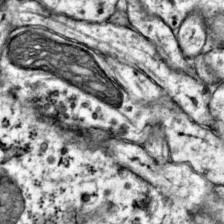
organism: Mouse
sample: Primary visual cortex